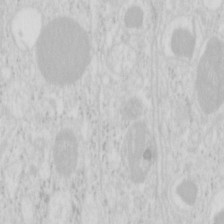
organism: Mouse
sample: Pancreas